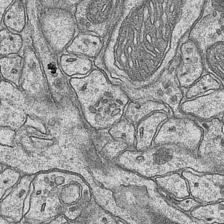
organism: Mouse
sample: CA1 Hippocampus